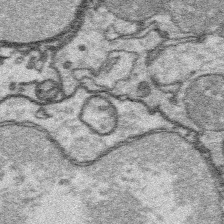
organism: Platynereis dumerilii